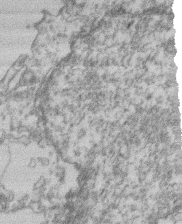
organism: Mouse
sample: T cell stromal cell synapse